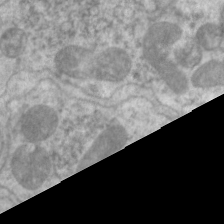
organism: C. elegans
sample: Pharynx